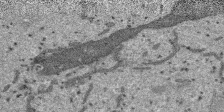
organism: Human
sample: Lung epithelial cells infected with SARS-CoV-2